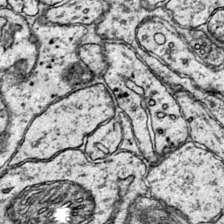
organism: Mouse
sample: Primary visual cortex